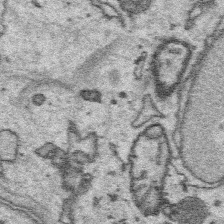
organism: Platynereis dumerilii